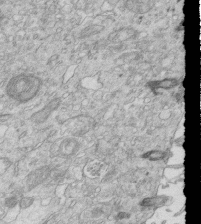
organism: Mouse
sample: Multiciliated cells